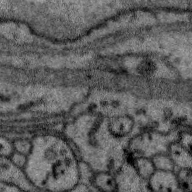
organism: Zebra finch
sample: Brain